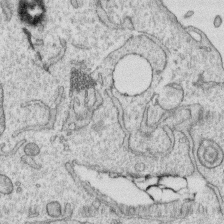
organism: Human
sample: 1205lu cells